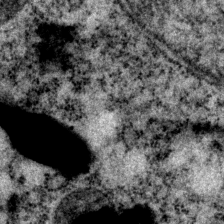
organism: P. pacificus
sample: Pharynx